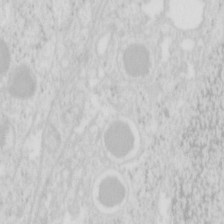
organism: Mouse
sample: Pancreas